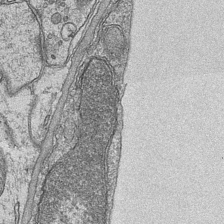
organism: Mouse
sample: CA1 Hippocampus